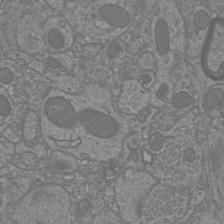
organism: Mouse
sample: Cortical neurons